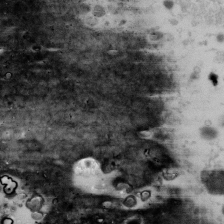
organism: Human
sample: U2-OS cells